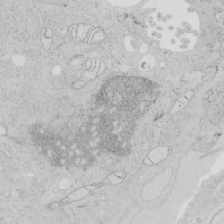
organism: Human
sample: Mitochondria in HCT116 cells